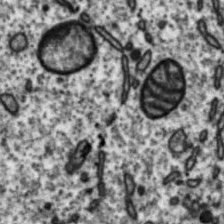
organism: Human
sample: HeLa cells